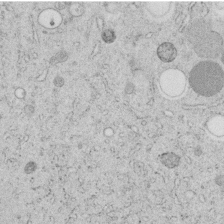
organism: C. elegans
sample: C. elegans embryo early stage